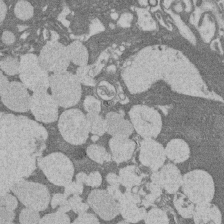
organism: Rat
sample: Salivary granule